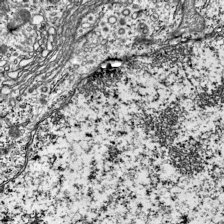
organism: Mouse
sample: Visual Cortex